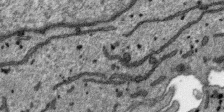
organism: Human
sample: Lung epithelial cells, uninfected (mock) control